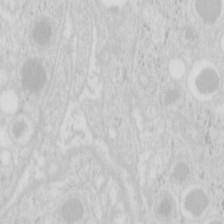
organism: Mouse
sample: Pancreas